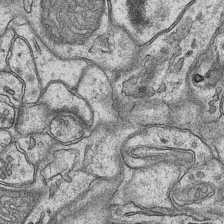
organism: Mouse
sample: CA1 Hippocampus